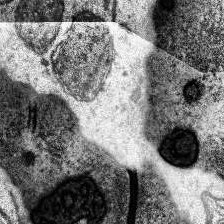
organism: Human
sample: Temporal Lobe